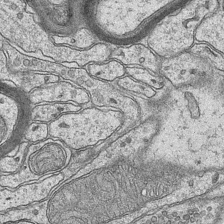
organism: Mouse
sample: CA1 Hippocampus